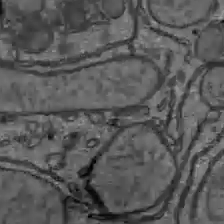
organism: C57BL Mouse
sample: Liver